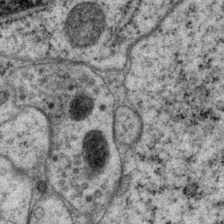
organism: P. pacificus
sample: Pharynx